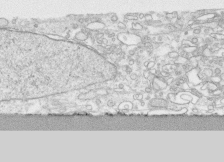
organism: Human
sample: CRL-1474